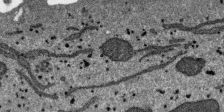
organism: Human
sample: Lung epithelial cells, uninfected (mock) control